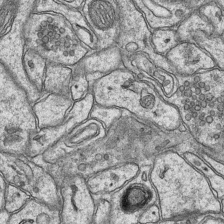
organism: Mouse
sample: CA1 Hippocampus